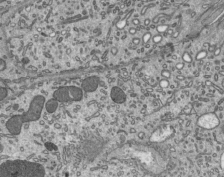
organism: Mouse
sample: Mouse epididymis efferent ductule cilia